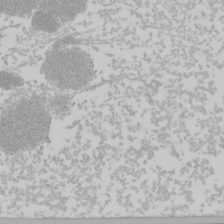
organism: Mouse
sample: Cancer cell death in ED-1 cells